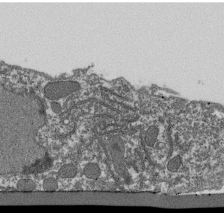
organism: Dictyostelium discoideum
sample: Dictyostelium multivesicular bodies